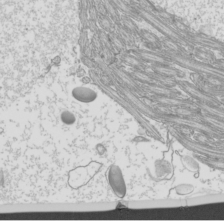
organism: Mouse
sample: Cilia; mouse epididymis